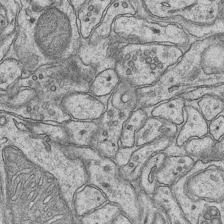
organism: Mouse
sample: CA1 Hippocampus